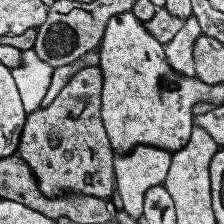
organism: Human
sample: Temporal Lobe